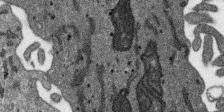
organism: Human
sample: Lung epithelial cells infected with SARS-CoV-2